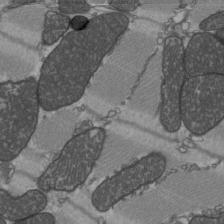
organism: C57BL Mouse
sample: Heart